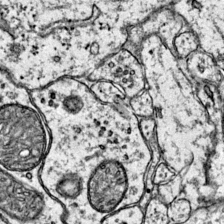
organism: Mouse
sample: Primary visual cortex